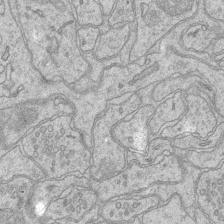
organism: Mouse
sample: CA1 Hippocampus